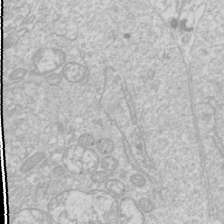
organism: Drosophila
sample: Cell division; meiosis; drosophila spermatocytes